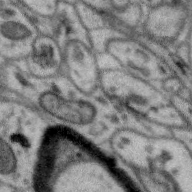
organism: Zebra finch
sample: Brain